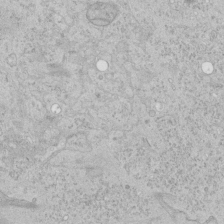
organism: Human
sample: Mitochondria in HCT116 cells